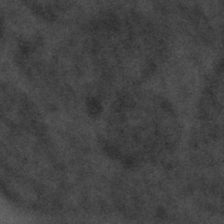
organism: Tuwongella immobilis